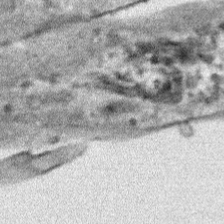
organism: Human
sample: Mitochondria in HCT116 cells